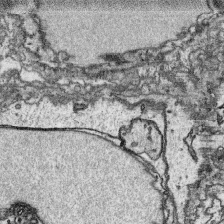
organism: Platynereis dumerilii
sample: Parapodia